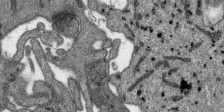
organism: Human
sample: Lung epithelial cells, uninfected (mock) control